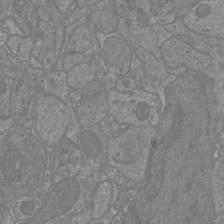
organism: Mouse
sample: Cortical neurons